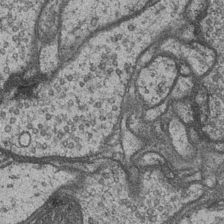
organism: Drosophila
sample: Optic medulla